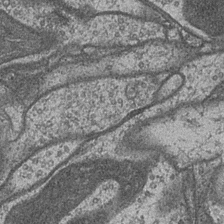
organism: Drosophila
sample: Optic medulla